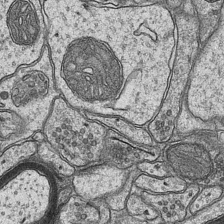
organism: Mouse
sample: CA1 Hippocampus